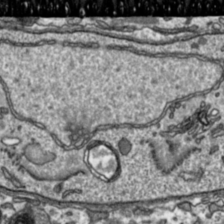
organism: Toxoplasma gondii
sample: Parasites in a vacuole inside a host cell